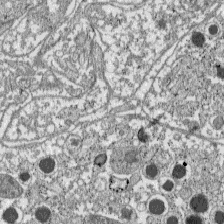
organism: C57BL Mouse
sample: Pancreatic islet